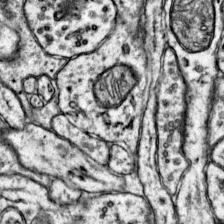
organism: Mouse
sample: Primary visual cortex